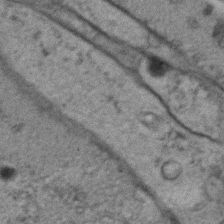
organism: C. elegans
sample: C. elegans embryo